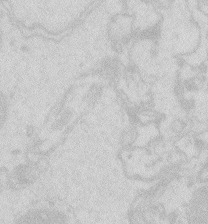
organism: Zebrafish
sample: Macrophage